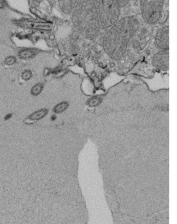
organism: Tetrahymena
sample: Cilia in tetrahymena